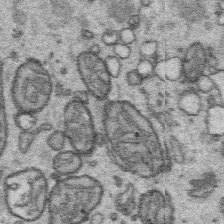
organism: Platynereis dumerilii